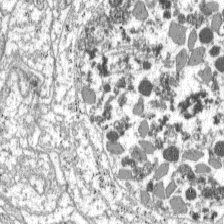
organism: C57BL Mouse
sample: Pancreatic islet